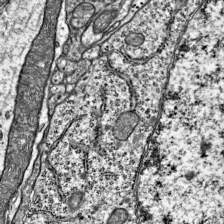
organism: Mouse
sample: Visual Cortex